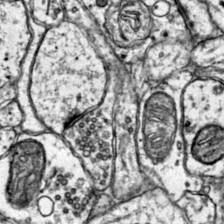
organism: Mouse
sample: Primary visual cortex